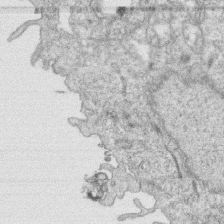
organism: Human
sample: HeLa cell HIV synapse